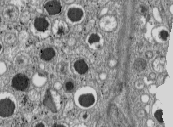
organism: C57BL Mouse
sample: Pancreatic islet